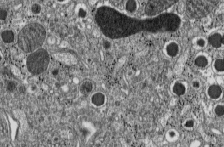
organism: C57BL Mouse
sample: Pancreatic islet